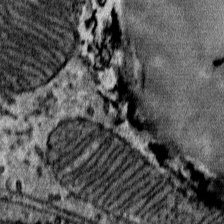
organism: Mouse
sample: Mouse Salivary gland